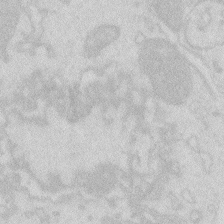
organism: Zebrafish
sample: Macrophage